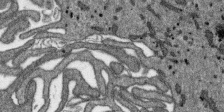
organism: Human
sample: Lung epithelial cells, uninfected (mock) control